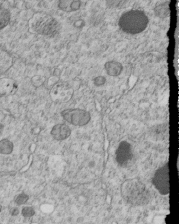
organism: C. elegans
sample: C. elegans embryo early stage